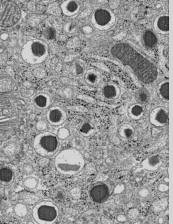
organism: C57BL Mouse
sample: Pancreatic islet